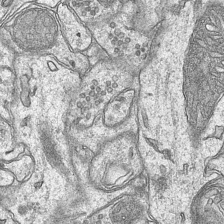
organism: Mouse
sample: CA1 Hippocampus